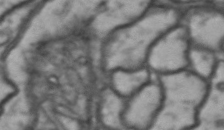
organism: Drosophila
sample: Brain